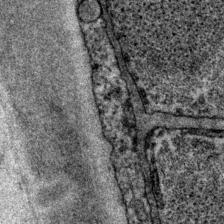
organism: P. pacificus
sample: Pharynx